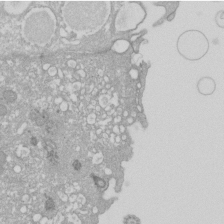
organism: Xenopus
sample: Cilia; centrioles in frog embryo cells